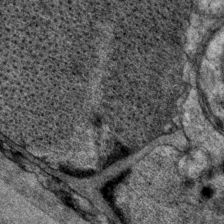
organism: P. pacificus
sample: Pharynx